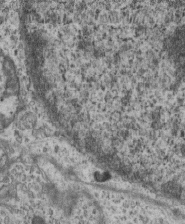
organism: Mouse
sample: Centriole in ependymal cells